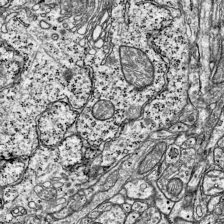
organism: Mouse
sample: Visual Cortex